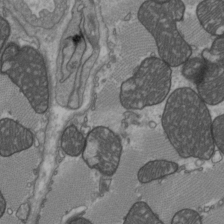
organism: C57BL Mouse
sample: Heart